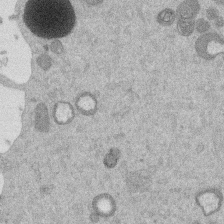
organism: Mouse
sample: Dividing mouse embryo 1 cell stage